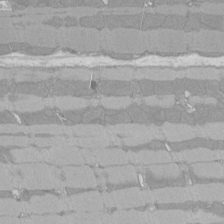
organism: Rat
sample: Left ventricle